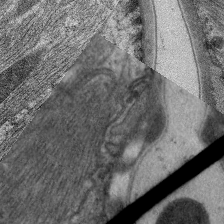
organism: C. elegans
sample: Pharynx